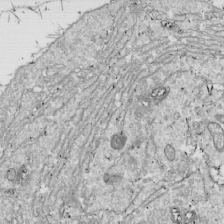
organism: Drosophila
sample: Cell division; meiosis; drosophila spermatocytes